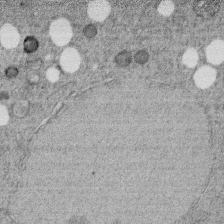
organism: C. elegans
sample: C. elegans embryo early stage